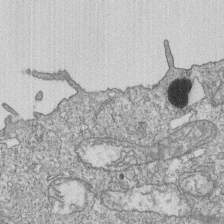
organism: Human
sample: HeLa cell HIV synapse